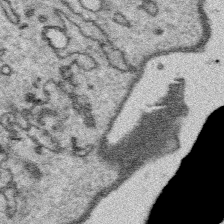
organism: Platynereis dumerilii